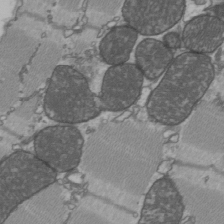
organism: C57BL Mouse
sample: Heart